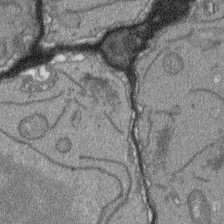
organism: Arabidopsis thaliana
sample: Root tip